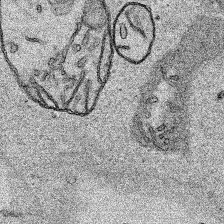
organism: Human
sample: Mitochondria in HCT116 cells